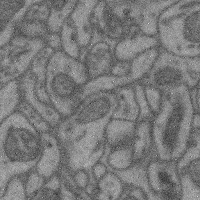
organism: Mouse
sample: Cerebral cortex